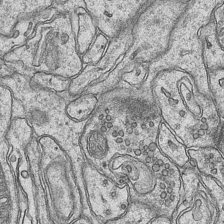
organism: Mouse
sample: CA1 Hippocampus